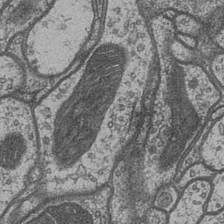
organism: Drosophila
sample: Optic medulla